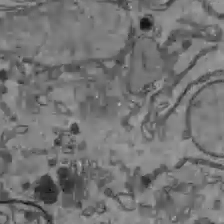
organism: C57BL Mouse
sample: Liver